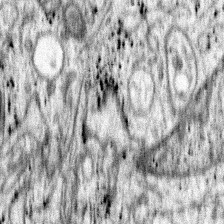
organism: Human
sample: HeLa cells